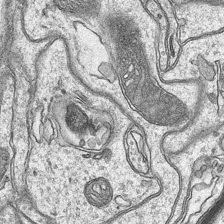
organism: Mouse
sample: CA1 Hippocampus